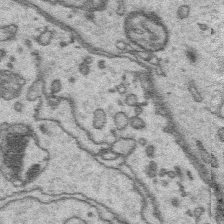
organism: Platynereis dumerilii